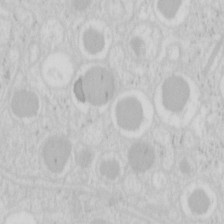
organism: Mouse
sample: Pancreas